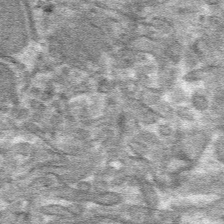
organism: Mouse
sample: Mouse hepatocytes